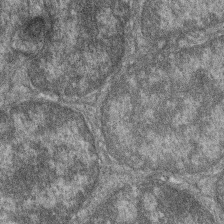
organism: Zebrafish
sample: Cilia; retinal pigment epithelium